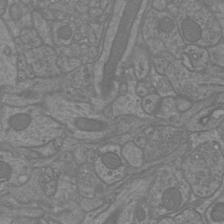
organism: Mouse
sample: Cortical neurons